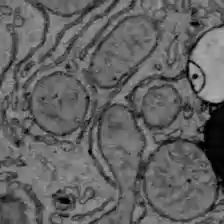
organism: C57BL Mouse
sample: Liver